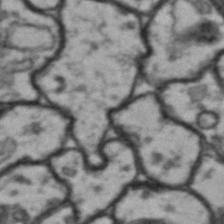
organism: Drosophila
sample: Brain